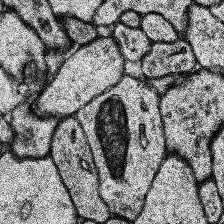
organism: Human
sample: Temporal Lobe